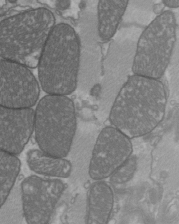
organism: C57BL Mouse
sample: Heart